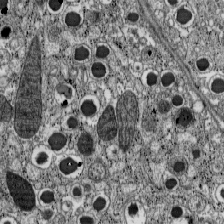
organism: C57BL Mouse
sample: Pancreatic islet